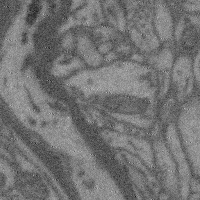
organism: Mouse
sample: Cerebral cortex